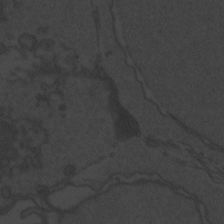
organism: Zebrafish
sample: Macrophage infected with Toxoplasma gondii